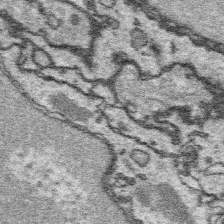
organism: Platynereis dumerilii